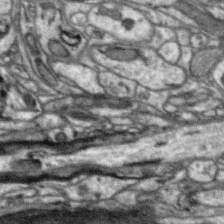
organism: Zebra finch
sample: Brain